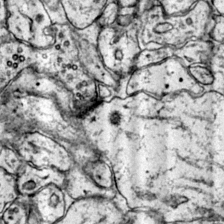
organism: Mouse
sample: Primary visual cortex